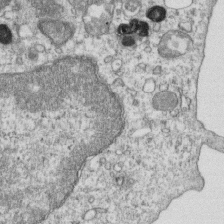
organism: Mouse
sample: Activated OT-1 CD8+ T cells